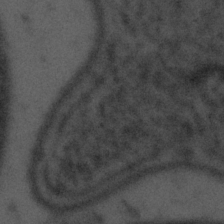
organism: Tuwongella immobilis